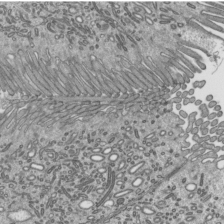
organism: Mouse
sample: Mouse epididymis efferent ductule cilia